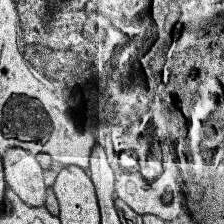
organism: Human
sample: Temporal Lobe